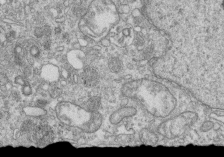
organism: Human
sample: HeLa cell HIV synapse